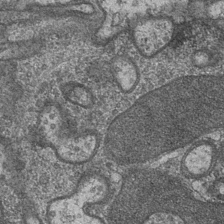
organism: Drosophila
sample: Optic medulla